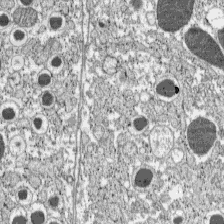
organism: C57BL Mouse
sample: Pancreatic islet